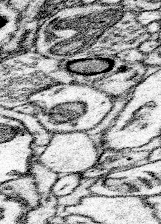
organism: Mouse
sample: Somatosensory cortex neuropil